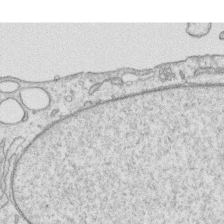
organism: Human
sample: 1205lu cells